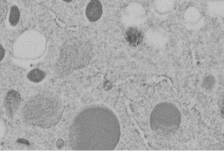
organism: C. elegans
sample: C. elegans embryo early stage